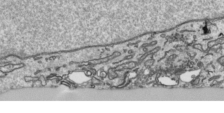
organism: Human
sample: Mitochondria in HCT116 cells